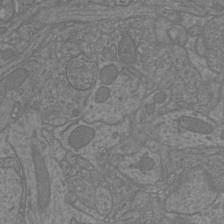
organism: Mouse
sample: Cortical neurons